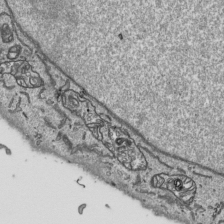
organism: Human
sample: Mitochondria in HCT116 cells